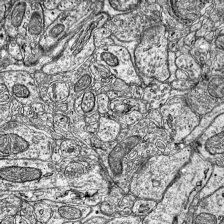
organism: Mouse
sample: Visual Cortex